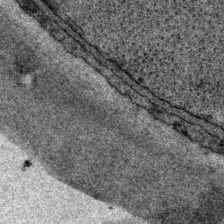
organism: P. pacificus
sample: Pharynx